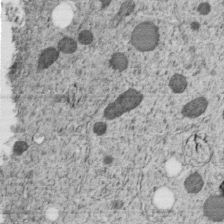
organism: C. elegans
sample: C. elegans embryo early stage